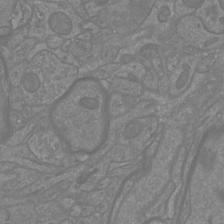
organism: Mouse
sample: Cortical neurons